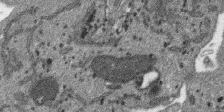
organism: Human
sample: Lung epithelial cells infected with SARS-CoV-2